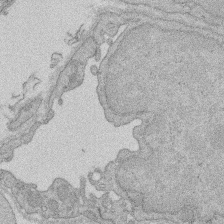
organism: Rat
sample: Salivary granule